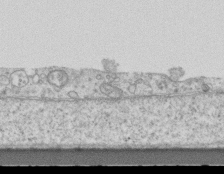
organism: Mouse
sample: Centriole in ependymal cells